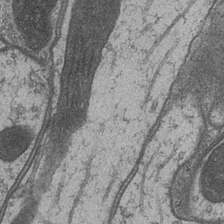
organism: Drosophila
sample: Optic medulla